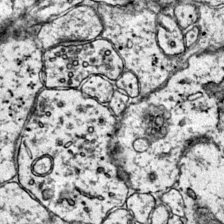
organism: Mouse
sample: Primary visual cortex